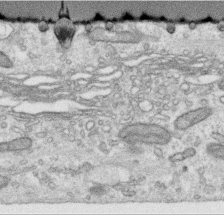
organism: Human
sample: Centriole in RPE cells